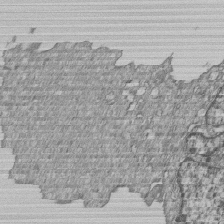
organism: Human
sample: MDA-MB-231 cells